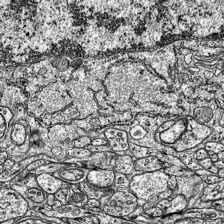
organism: Mouse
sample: Visual Cortex